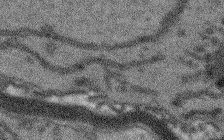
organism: Arabidopsis thaliana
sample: Root tip